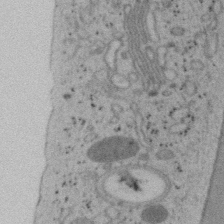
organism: Human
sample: HeLa cells